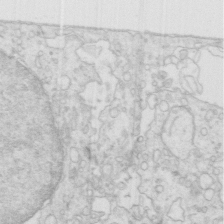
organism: Mouse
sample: Multiciliated cells